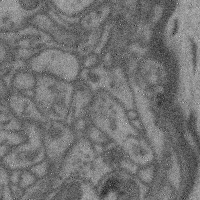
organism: Mouse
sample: Cerebral cortex